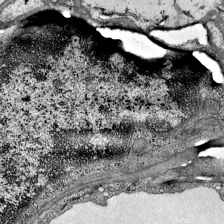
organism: Mouse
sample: Visual Cortex